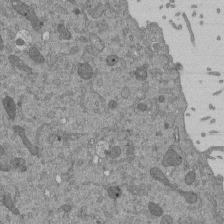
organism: Mouse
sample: ED-1 cell nuclei; centrioles